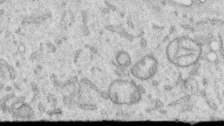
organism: Human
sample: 1205lu cells